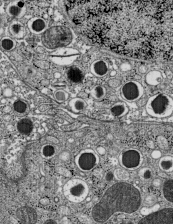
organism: C57BL Mouse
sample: Pancreatic islet